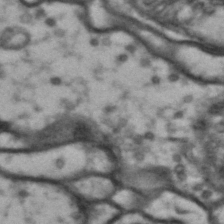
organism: Drosophila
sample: Brain